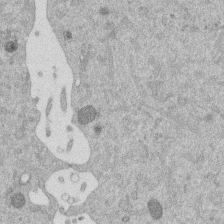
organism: Mouse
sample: Dividing mouse embryo 1 cell stage